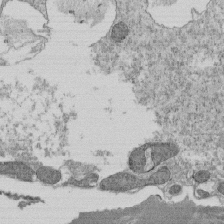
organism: Tetrahymena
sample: Cilia in tetrahymena